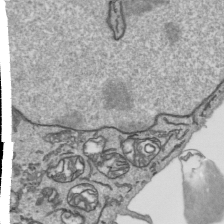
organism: Human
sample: Mitochondria in HCT116 cells